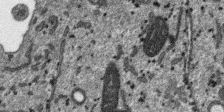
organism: Human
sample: Lung epithelial cells infected with SARS-CoV-2